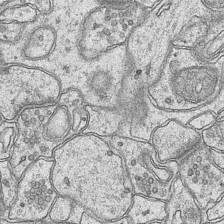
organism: Mouse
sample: CA1 Hippocampus